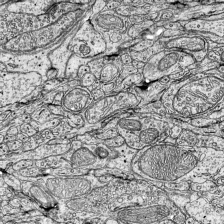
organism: Mouse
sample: Visual Cortex